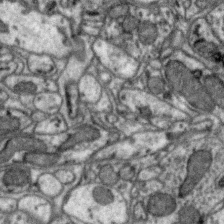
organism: Zebra finch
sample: Brain